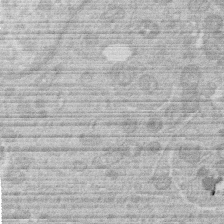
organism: Human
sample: Macrophage cells